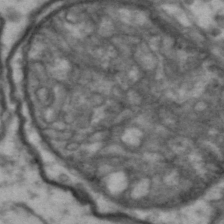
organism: Drosophila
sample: Brain